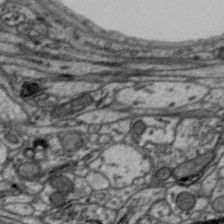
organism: Zebra finch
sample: Brain